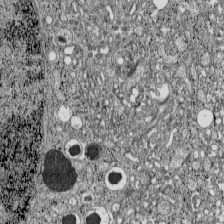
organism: C57BL Mouse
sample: Pancreatic islet